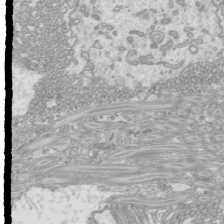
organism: Mouse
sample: Cilia; mouse epididymis